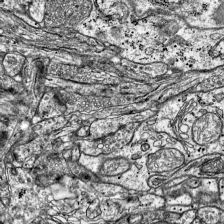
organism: Mouse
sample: Visual Cortex